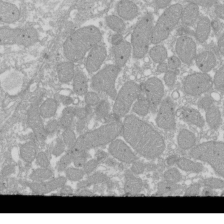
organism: Xenopus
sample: Cilia; centrioles in frog embryo cells